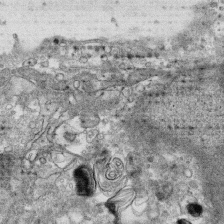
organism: Human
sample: CRL-1474